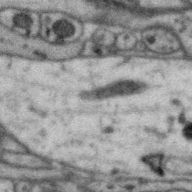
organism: Zebra finch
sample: Brain